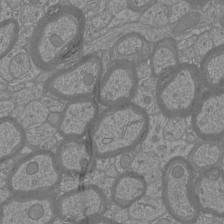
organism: Mouse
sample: Cortical neurons